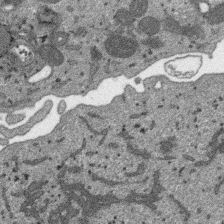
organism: Human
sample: Lung epithelial cells infected with SARS-CoV-2